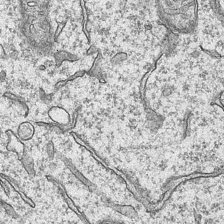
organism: Mouse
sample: CA1 Hippocampus